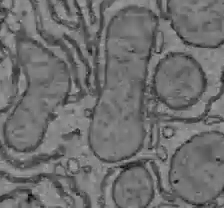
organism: C57BL Mouse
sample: Liver